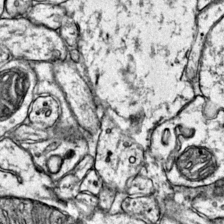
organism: Mouse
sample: Primary visual cortex